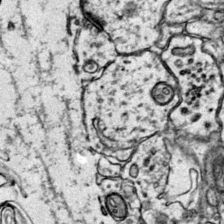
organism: Mouse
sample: Primary visual cortex